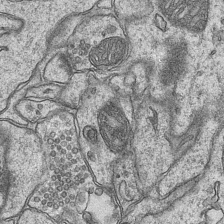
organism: Mouse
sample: CA1 Hippocampus